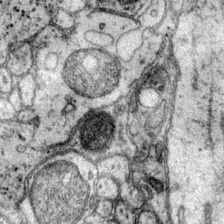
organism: Mouse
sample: Primary visual cortex